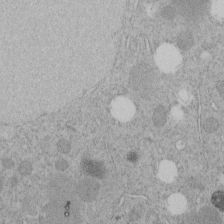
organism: C. elegans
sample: C. elegans embryo early stage